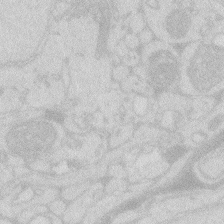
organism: Zebrafish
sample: Macrophage